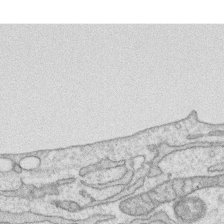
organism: Human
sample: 1205lu cells